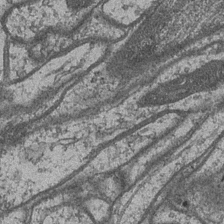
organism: Drosophila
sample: Optic medulla